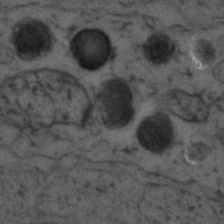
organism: Zebrafish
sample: Zebrafish embryo